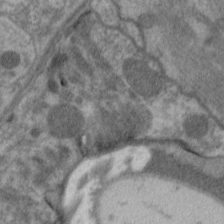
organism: C. elegans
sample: Pharynx